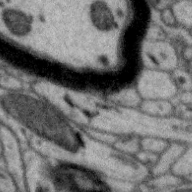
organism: Zebra finch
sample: Brain